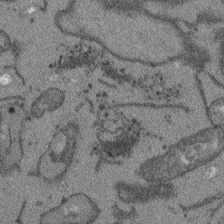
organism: Arabidopsis thaliana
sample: Root tip